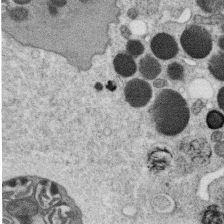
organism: C. elegans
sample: C. elegans oocyte; sperm cells